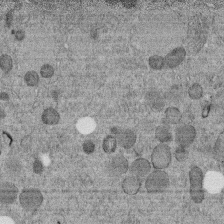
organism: C. elegans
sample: C. elegans embryo early stage